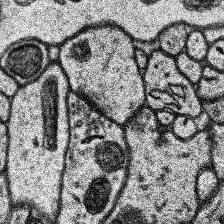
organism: Human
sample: Temporal Lobe